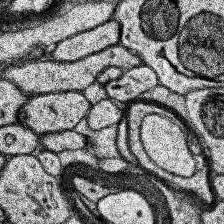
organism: Human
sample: Temporal Lobe